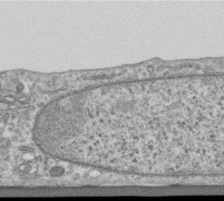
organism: Human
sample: Centriole in RPE cells